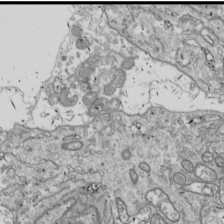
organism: Drosophila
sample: Cell division; meiosis; drosophila spermatocytes